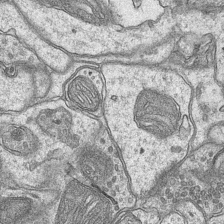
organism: Mouse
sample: CA1 Hippocampus